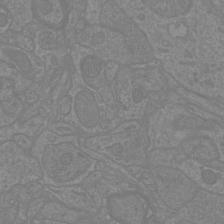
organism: Mouse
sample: Cortical neurons